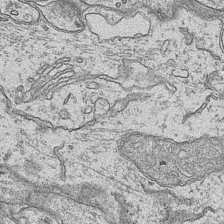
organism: Mouse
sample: CA1 Hippocampus